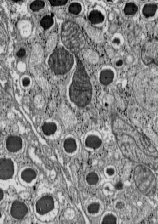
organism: C57BL Mouse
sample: Pancreatic islet